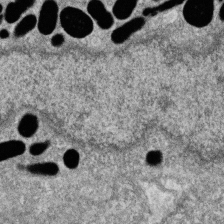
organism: Zebrafish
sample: Cilia; retinal pigment epithelium